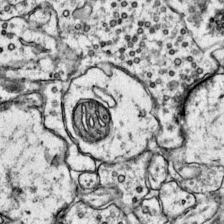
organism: Mouse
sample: Primary visual cortex